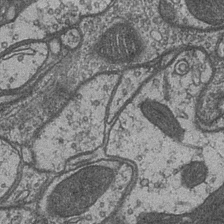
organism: Drosophila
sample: Optic medulla